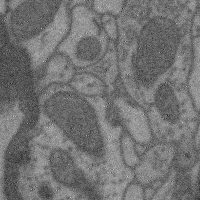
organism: Mouse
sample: Cerebral cortex